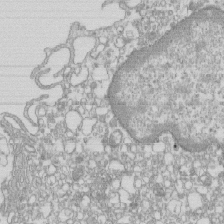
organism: Mouse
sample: Macrophages